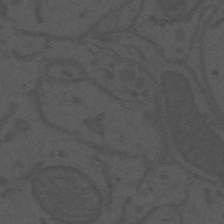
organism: Mouse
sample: Suprachiasmatic nucleus